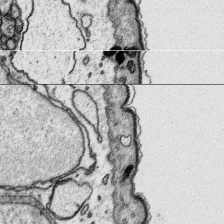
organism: Platynereis dumerilii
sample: Parapodia